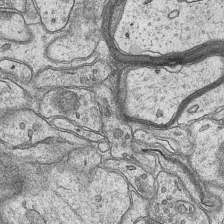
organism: Mouse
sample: CA1 Hippocampus